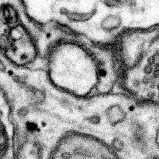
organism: Mouse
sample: Somatosensory cortex neuropil